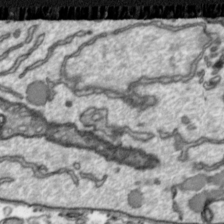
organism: Toxoplasma gondii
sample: Parasites in a vacuole inside a host cell